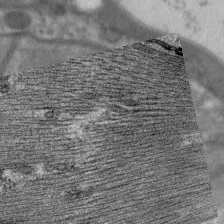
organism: C. elegans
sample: Pharynx